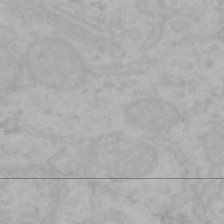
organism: Mouse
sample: Choroid plexus